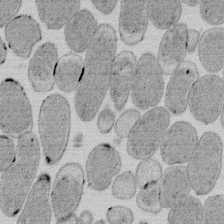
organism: E. coli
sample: Bacterial nucleoid